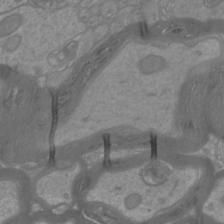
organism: Mouse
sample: Cortical neurons